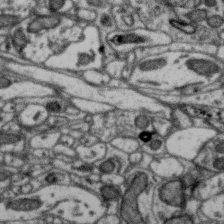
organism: Zebra finch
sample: Brain